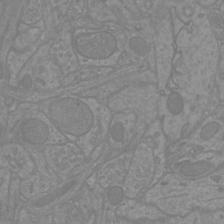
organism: Mouse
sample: Cortical neurons